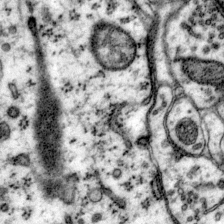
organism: Mouse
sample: Primary visual cortex